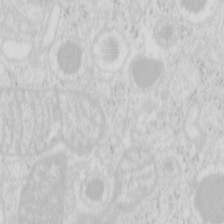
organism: Mouse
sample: Pancreas